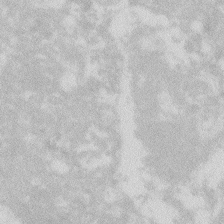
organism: Zebrafish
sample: Macrophage